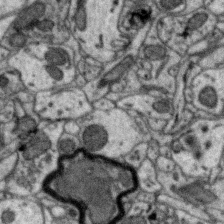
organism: Zebra finch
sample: Brain